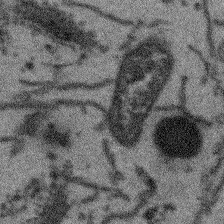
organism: Arabidopsis thaliana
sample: Root tip